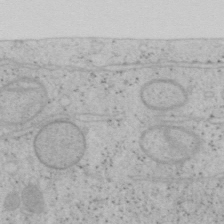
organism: Human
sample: HeLa cells